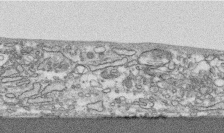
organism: Human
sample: CRL-1474